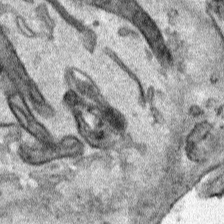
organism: Human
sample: Mitochondria in HCT116 cells